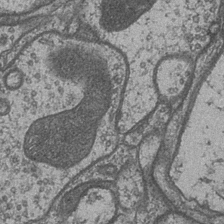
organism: Drosophila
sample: Optic medulla